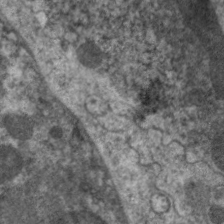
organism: C. elegans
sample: Pharynx